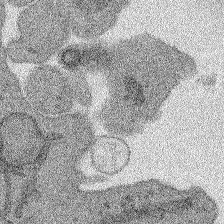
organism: Human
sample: HeLa cells